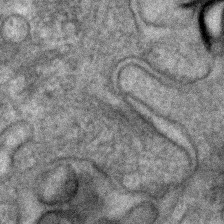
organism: Human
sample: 1205lu cells